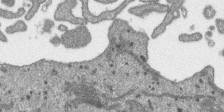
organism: Human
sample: Lung epithelial cells infected with SARS-CoV-2